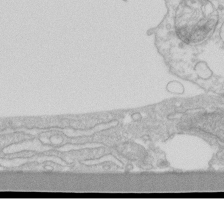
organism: Human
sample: Fibroblast cells